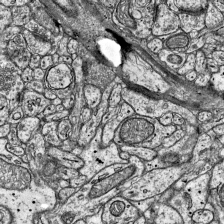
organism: Mouse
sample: Visual Cortex